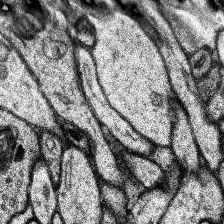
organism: Human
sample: Temporal Lobe